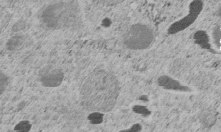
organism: C. elegans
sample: C. elegans embryo early stage